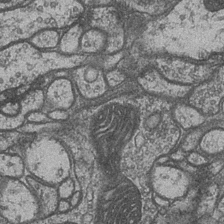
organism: Drosophila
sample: Optic medulla